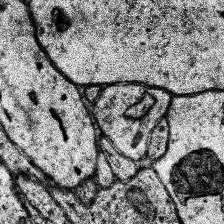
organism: Human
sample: Temporal Lobe